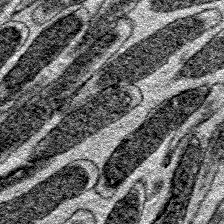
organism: E. coli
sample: E. Coli Bacteria